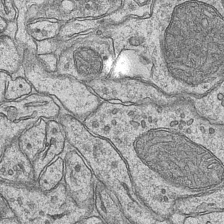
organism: Mouse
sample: CA1 Hippocampus